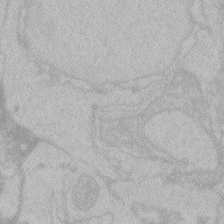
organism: Zebrafish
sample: Macrophage infected with Toxoplasma gondii